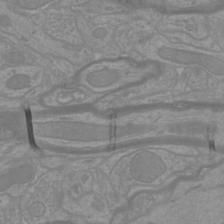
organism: Mouse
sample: Cortical neurons